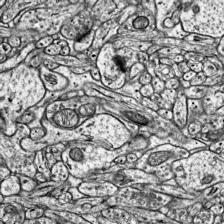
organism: Mouse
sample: Visual Cortex